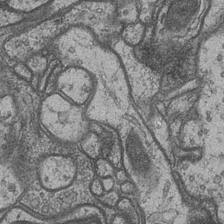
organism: Drosophila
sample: Optic medulla